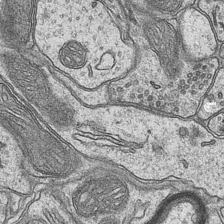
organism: Mouse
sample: CA1 Hippocampus